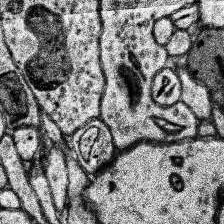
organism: Human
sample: Temporal Lobe